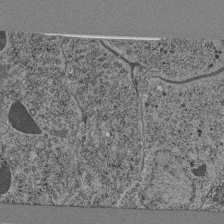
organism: C. elegans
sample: C. elegans pharynx